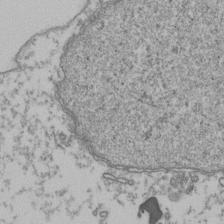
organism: Human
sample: Activated Jurkat CD4+ T cells